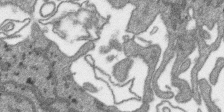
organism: Human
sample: Lung epithelial cells infected with SARS-CoV-2